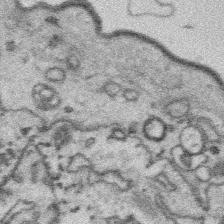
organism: Platynereis dumerilii